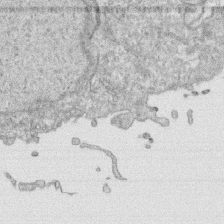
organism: Human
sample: HeLa cell HIV synapse